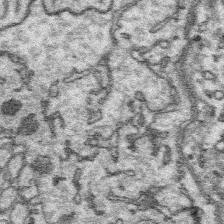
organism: Platynereis dumerilii